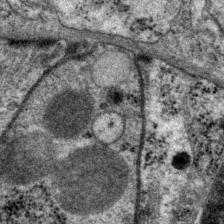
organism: P. pacificus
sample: Pharynx